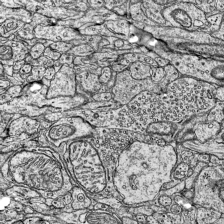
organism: Mouse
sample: Visual Cortex